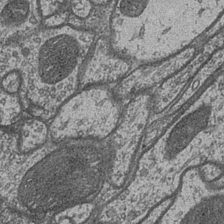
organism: Drosophila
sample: Optic medulla